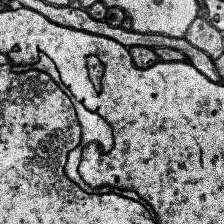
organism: Human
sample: Temporal Lobe